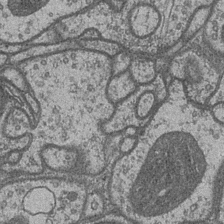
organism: Drosophila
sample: Optic medulla